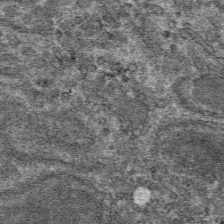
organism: Mouse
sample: Mouse hepatocytes